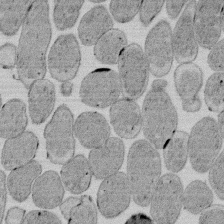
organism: E. coli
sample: Bacterial nucleoid